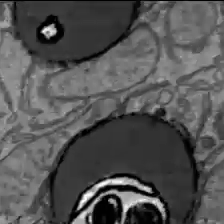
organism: C57BL Mouse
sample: Liver